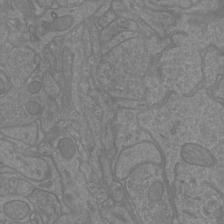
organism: Mouse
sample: Cortical neurons